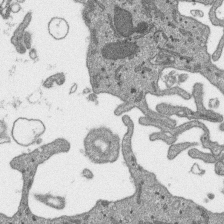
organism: Human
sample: Lung epithelial cells infected with SARS-CoV-2